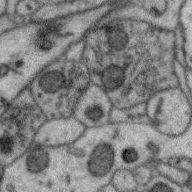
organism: Zebra finch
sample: Brain